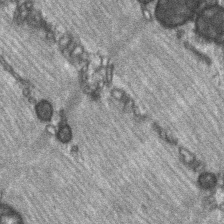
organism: C57BL Mouse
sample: Soleus